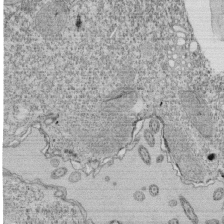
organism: Tetrahymena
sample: Cilia in tetrahymena